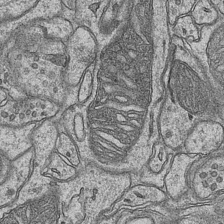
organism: Mouse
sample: CA1 Hippocampus